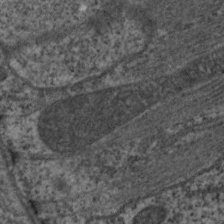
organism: C. elegans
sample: Pharynx